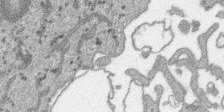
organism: Human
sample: Lung epithelial cells infected with SARS-CoV-2